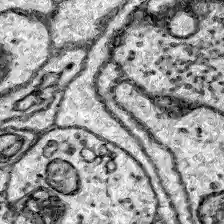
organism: Zebrafish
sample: Brain